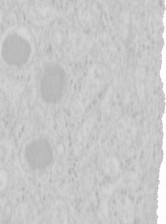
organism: Mouse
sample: Pancreas